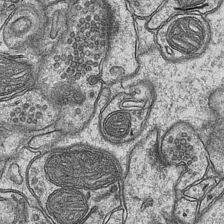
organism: Mouse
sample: CA1 Hippocampus